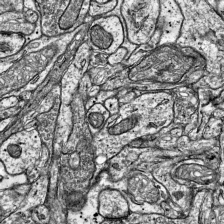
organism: Mouse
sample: Visual Cortex